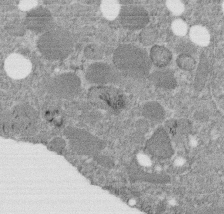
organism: C. elegans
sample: C. elegans embryo early stage